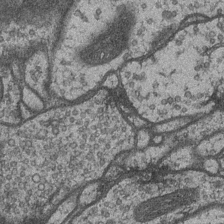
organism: Drosophila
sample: Optic medulla